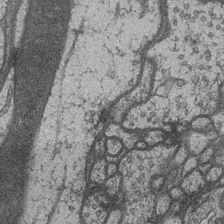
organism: Drosophila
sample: Optic medulla